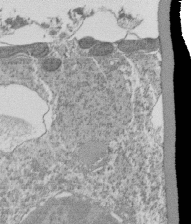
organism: Tetrahymena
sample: Cilia in tetrahymena